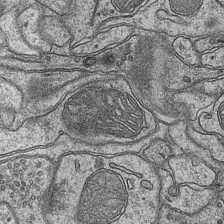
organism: Mouse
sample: CA1 Hippocampus